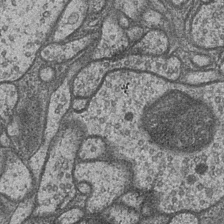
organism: Drosophila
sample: Optic medulla